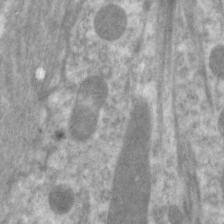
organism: C. elegans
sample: Pharynx